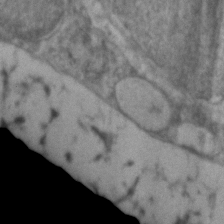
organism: Zebrafish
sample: Zebrafish embryo